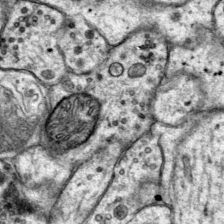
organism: Mouse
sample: Primary visual cortex